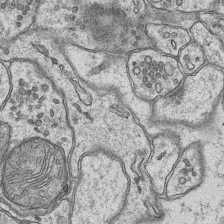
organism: Mouse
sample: CA1 Hippocampus